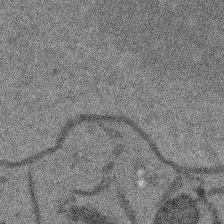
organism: Arabidopsis thaliana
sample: Root tip